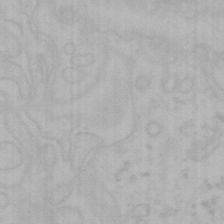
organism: Mouse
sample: Choroid plexus